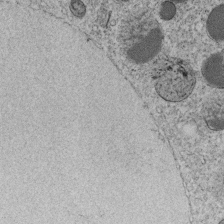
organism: C. elegans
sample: C. elegans embryo early stage